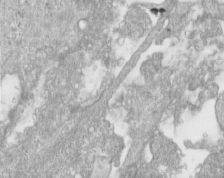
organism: Human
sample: Centriole in RPE cells